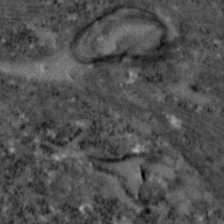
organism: Zebrafish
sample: Zebrafish embryo